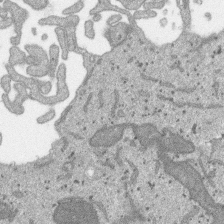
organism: Human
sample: Lung epithelial cells infected with SARS-CoV-2